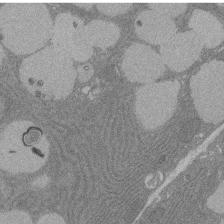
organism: Rat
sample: Salivary granule